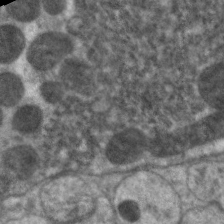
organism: C. elegans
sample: Pharynx